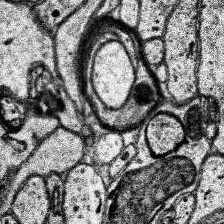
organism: Human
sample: Temporal Lobe